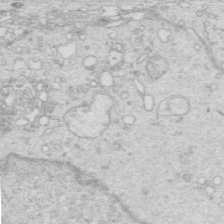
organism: Mouse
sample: Multiciliated cells